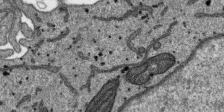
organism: Human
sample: Lung epithelial cells, uninfected (mock) control